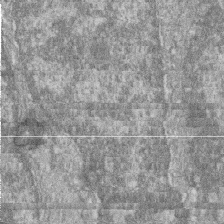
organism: Zebrafish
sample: Cilia; retinal pigment epithelium